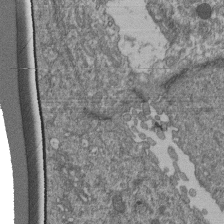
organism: Human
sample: Retinal organoid Rod and Cone cells